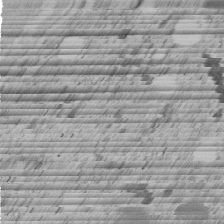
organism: C. elegans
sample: C. elegans embryo early stage